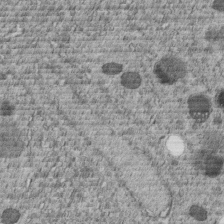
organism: C. elegans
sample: C. elegans embryo early stage